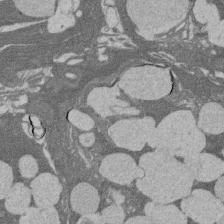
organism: Rat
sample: Salivary granule